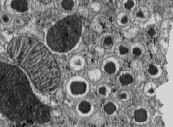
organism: C57BL Mouse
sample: Pancreatic islet